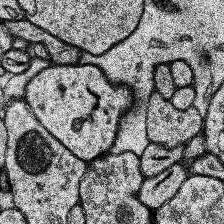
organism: Human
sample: Temporal Lobe